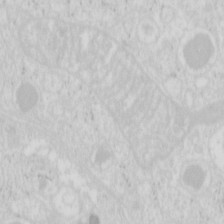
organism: Mouse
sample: Pancreas